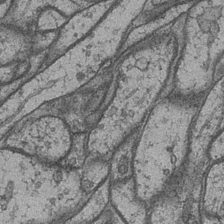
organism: Drosophila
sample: Optic medulla